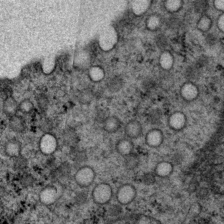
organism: P. pacificus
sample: Pharynx